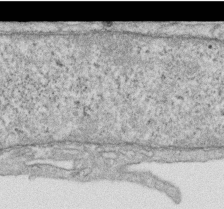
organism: Human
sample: Centriole in RPE cells